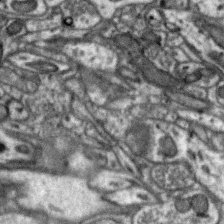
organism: Zebra finch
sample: Brain